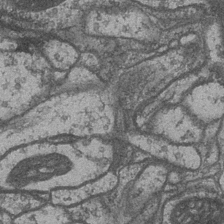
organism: Drosophila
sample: Optic medulla